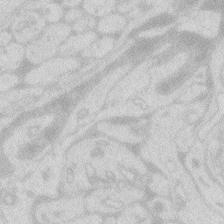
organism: Zebrafish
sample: Macrophage